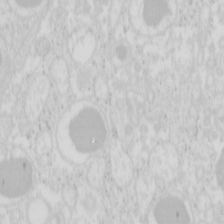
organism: Mouse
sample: Pancreas